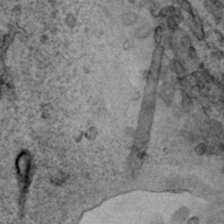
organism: Human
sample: Mitochondria in HCT116 cells